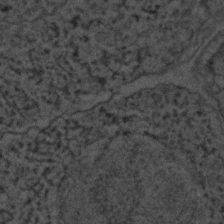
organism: C. elegans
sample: C. elegans embryo